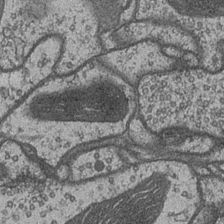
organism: Drosophila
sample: Optic medulla